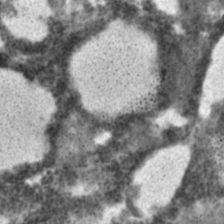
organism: C. elegans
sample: C. elegans embryo